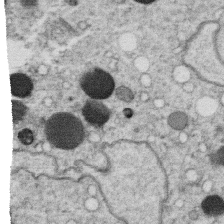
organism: C. elegans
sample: C. elegans oocyte; sperm cells